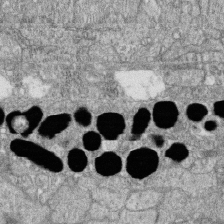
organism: Zebrafish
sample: Cilia; retinal pigment epithelium